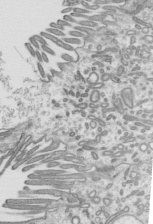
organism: Mouse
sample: Mouse epididymis efferent ductule cilia